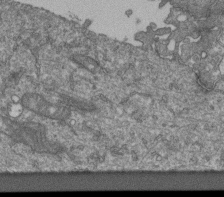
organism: Human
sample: Retinal organoid Rod and Cone cells